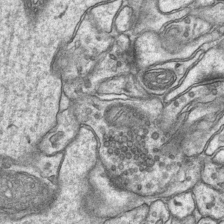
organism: Mouse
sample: CA1 Hippocampus